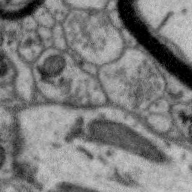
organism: Zebra finch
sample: Brain